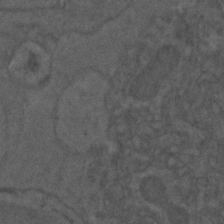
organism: C. elegans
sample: C. elegans embryo